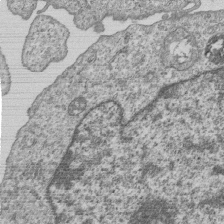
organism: Human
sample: MDA-MB-231 cells